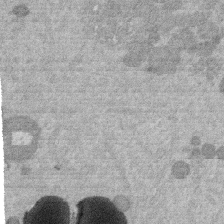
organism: Mouse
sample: Dividing mouse embryo 1 cell stage